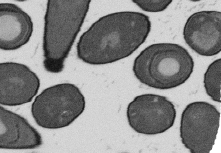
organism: B. subtilis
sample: Bacterial spore